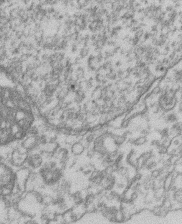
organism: Mouse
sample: T cell stromal cell synapse